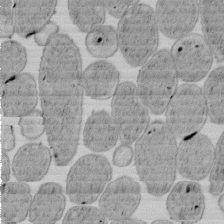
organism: E. coli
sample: Bacterial nucleoid